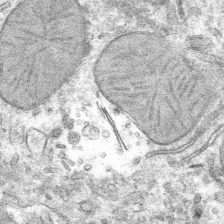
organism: Mouse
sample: Mouse hepatocytes